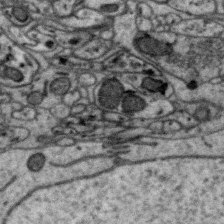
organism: Zebra finch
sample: Brain